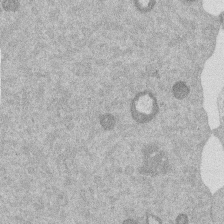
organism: Mouse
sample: Dividing mouse embryo 1 cell stage